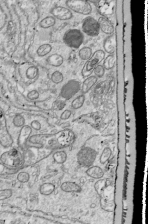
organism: Drosophila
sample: Cell division; meiosis; drosophila spermatocytes